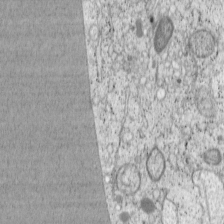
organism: African green monkey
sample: COS-7 cells